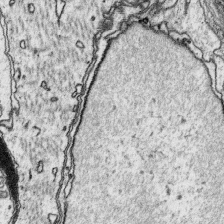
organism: Platynereis dumerilii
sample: Parapodia